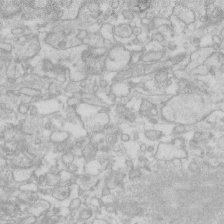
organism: Human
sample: Fibroblast cells